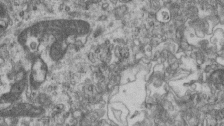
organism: Mouse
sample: Centriole in ependymal cells